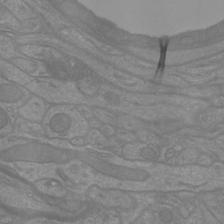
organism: Mouse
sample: Cortical neurons